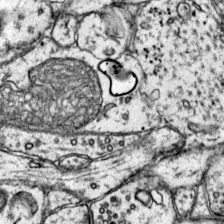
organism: Mouse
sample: Primary visual cortex